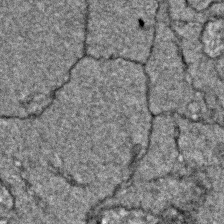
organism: Zebrafish